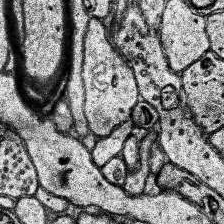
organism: Human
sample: Temporal Lobe